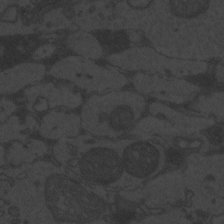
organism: Zebrafish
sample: Macrophage infected with Toxoplasma gondii